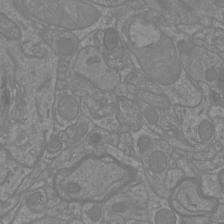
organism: Mouse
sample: Cortical neurons